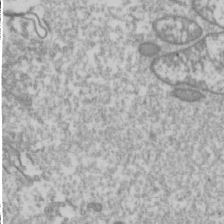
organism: Drosophila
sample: Cell division; meiosis; drosophila spermatocytes